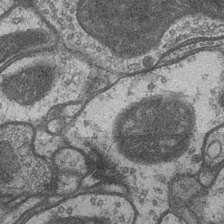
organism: Drosophila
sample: Optic medulla